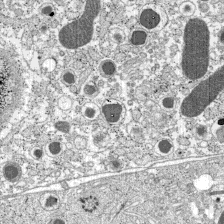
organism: C57BL Mouse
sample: Pancreatic islet